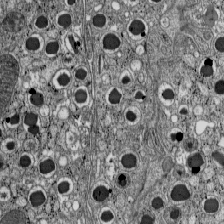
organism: C57BL Mouse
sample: Pancreatic islet